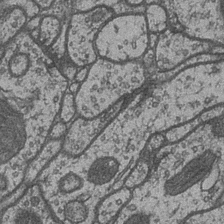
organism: Drosophila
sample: Optic medulla